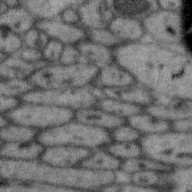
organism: Zebra finch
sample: Brain